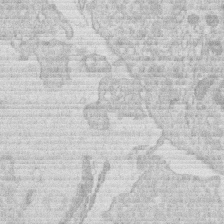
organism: Human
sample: Macrophage cells